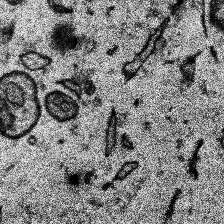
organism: Human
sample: Temporal Lobe